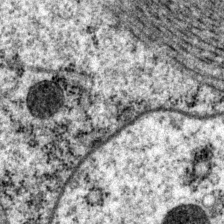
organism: P. pacificus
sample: Pharynx